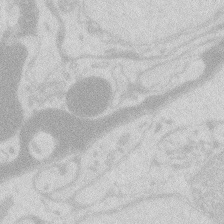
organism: Zebrafish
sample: Macrophage